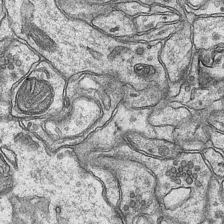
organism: Mouse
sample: CA1 Hippocampus